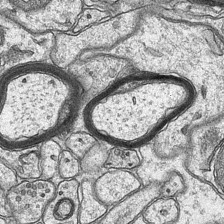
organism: Mouse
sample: CA1 Hippocampus